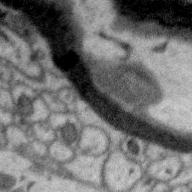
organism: Zebra finch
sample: Brain